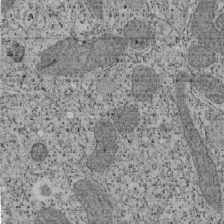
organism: Tetrahymena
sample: Cilia in tetrahymena